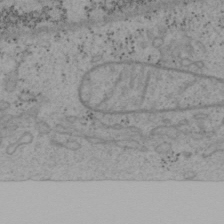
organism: Human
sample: HeLa cells